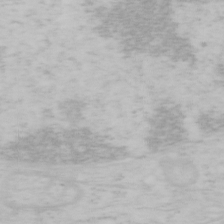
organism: Mouse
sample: OT-I killer T cells with ID8 ovarian cancer cells